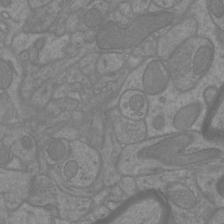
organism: Mouse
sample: Cortical neurons